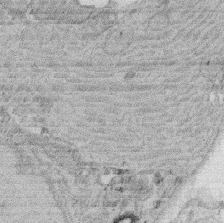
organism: Rat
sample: Salivary granule